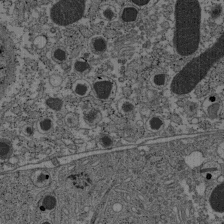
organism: C57BL Mouse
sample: Pancreatic islet